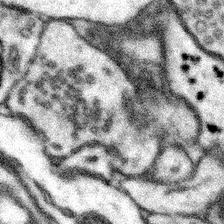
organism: Mouse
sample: Somatosensory cortex neuropil